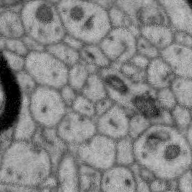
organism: Zebra finch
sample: Brain